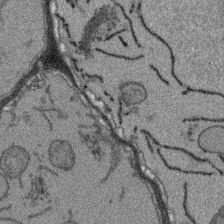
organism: Arabidopsis thaliana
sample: Root tip